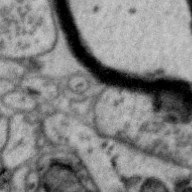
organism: Zebra finch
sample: Brain